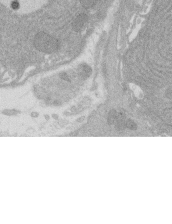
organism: Rat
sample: Salivary granule